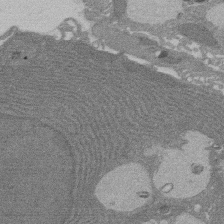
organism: Rat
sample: Salivary granule